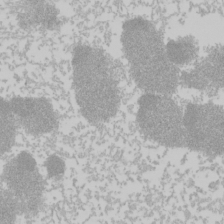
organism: Mouse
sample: Cancer cell death in ED-1 cells